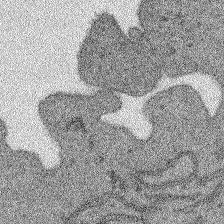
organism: Human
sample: HeLa cells